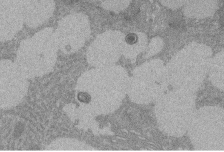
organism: Rat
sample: Salivary granule